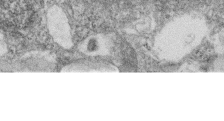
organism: Zebrafish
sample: Cilia; retinal pigment epithelium